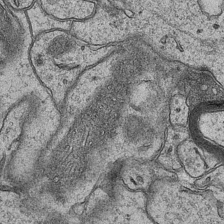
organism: Mouse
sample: CA1 Hippocampus